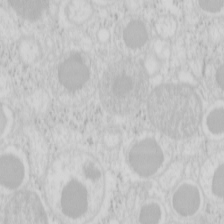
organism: Mouse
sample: Pancreas